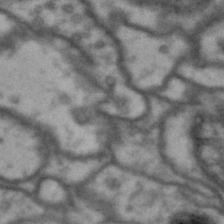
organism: Drosophila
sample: Brain